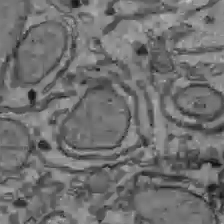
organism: C57BL Mouse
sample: Liver